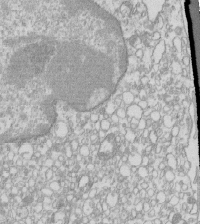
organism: Mouse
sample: Macrophages